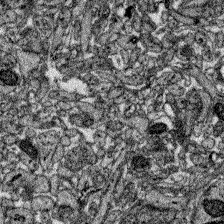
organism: Zebrafish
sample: Larval olfactory bulb